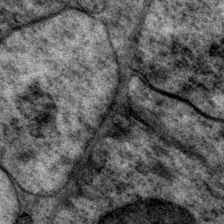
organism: P. pacificus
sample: Pharynx